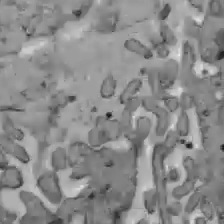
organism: C57BL Mouse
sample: Liver